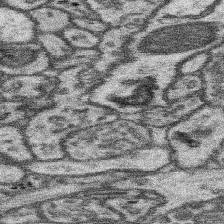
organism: Mouse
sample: Somatosensory cortex neuropil